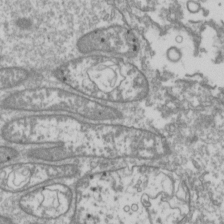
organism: Drosophila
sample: Cell division; meiosis; drosophila spermatocytes